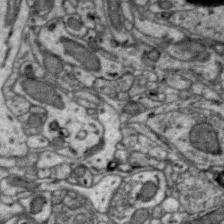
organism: Zebra finch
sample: Brain